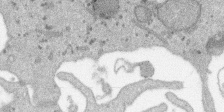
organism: Human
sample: Lung epithelial cells infected with SARS-CoV-2